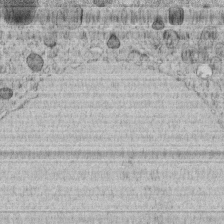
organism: C. elegans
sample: C. elegans embryo early stage